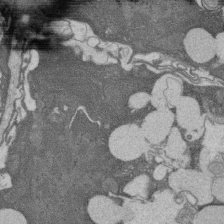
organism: Rat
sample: Salivary granule